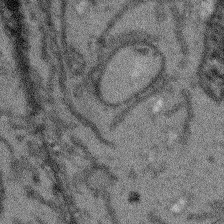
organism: Arabidopsis thaliana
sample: Root tip